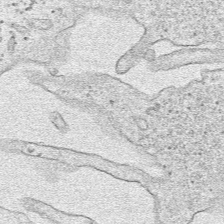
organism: Human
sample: Mitochondria in HCT116 cells